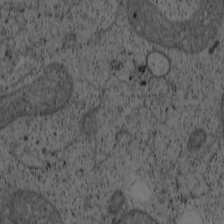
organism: African green monkey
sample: COS-7 cells